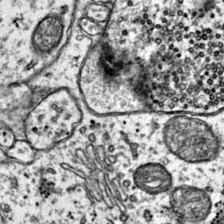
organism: Mouse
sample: Primary visual cortex